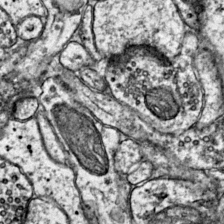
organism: Mouse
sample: Primary visual cortex